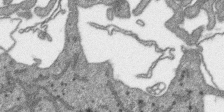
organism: Human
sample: Lung epithelial cells infected with SARS-CoV-2